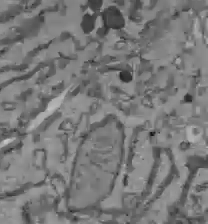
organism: C57BL Mouse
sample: Liver